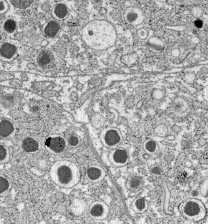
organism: C57BL Mouse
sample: Pancreatic islet